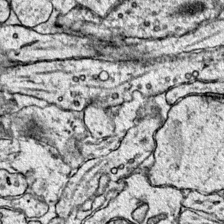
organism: Mouse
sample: Primary visual cortex